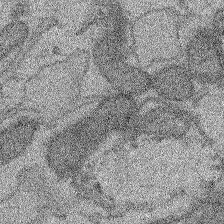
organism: Human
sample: HeLa cells